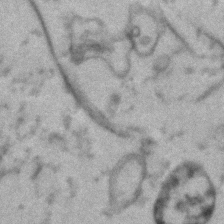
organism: Human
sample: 1205lu cells